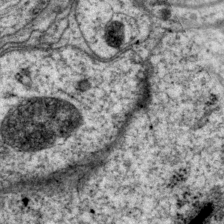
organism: P. pacificus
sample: Pharynx